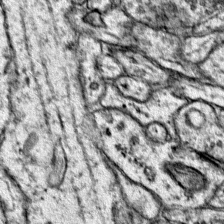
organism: Mouse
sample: Primary visual cortex